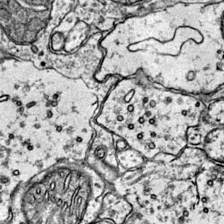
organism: Mouse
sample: Primary visual cortex